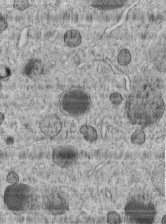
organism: C. elegans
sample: C. elegans embryo early stage